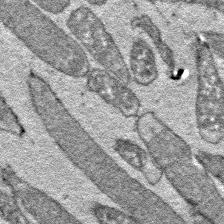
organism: E. coli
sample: E. Coli Bacteria